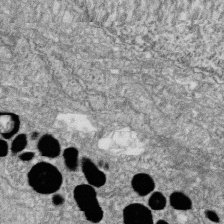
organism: Zebrafish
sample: Cilia; retinal pigment epithelium